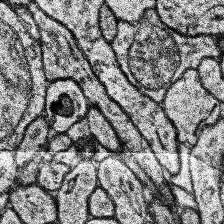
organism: Human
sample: Temporal Lobe